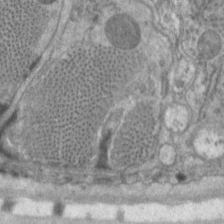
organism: C. elegans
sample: Pharynx